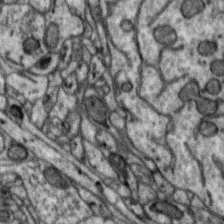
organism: Zebra finch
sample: Brain